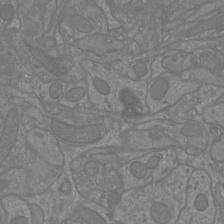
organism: Mouse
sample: Cortical neurons